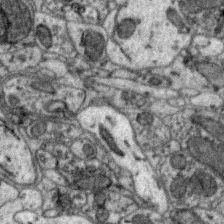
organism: Zebra finch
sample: Brain